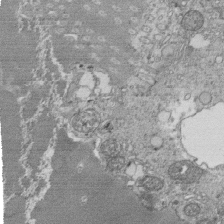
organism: Tetrahymena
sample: Cilia in tetrahymena